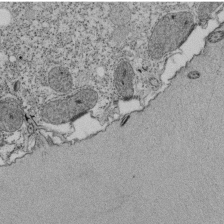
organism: Tetrahymena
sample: Cilia in tetrahymena